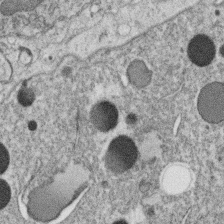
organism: C. elegans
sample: C. elegans oocyte; sperm cells